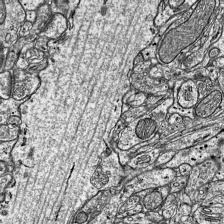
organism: Mouse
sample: Visual Cortex